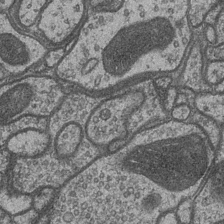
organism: Drosophila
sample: Optic medulla